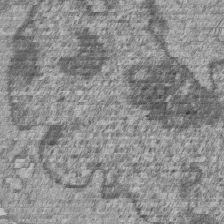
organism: Human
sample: MDA-MB-231 cells